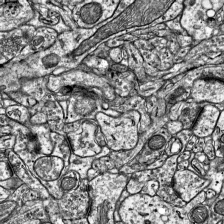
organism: Mouse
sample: Visual Cortex